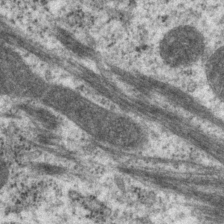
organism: P. pacificus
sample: Pharynx